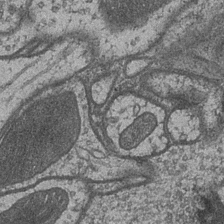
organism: Drosophila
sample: Optic medulla